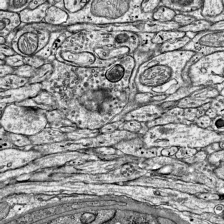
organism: Mouse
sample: Visual Cortex